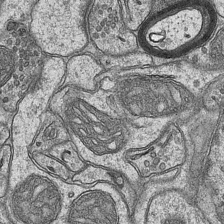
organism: Mouse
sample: CA1 Hippocampus